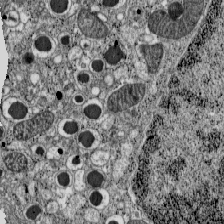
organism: C57BL Mouse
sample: Pancreatic islet